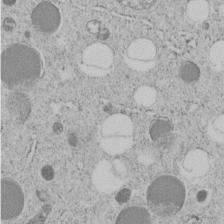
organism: C. elegans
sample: C. elegans embryo early stage